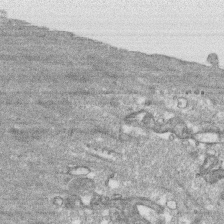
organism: Human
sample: CRL-1474